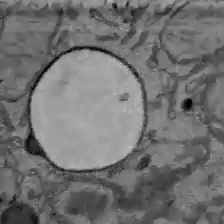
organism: C57BL Mouse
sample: Liver